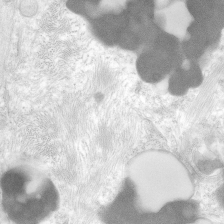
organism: Human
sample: Neocortex